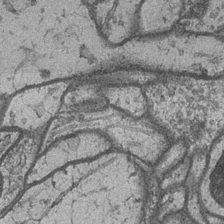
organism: Drosophila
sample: Optic medulla